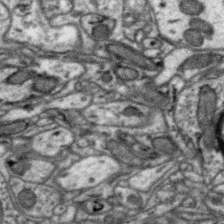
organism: Zebra finch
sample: Brain